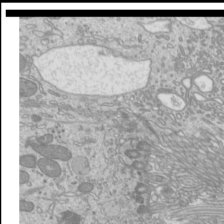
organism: Mouse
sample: Cilia; mouse epididymis